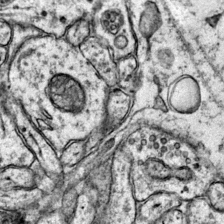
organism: Mouse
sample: Primary visual cortex